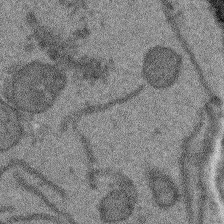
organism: Arabidopsis thaliana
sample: Root tip